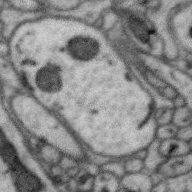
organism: Zebra finch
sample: Brain